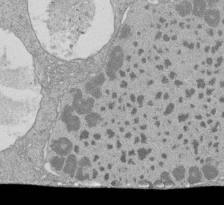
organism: Tetrahymena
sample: Cilia in tetrahymena